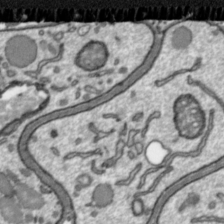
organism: Toxoplasma gondii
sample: Parasites in a vacuole inside a host cell